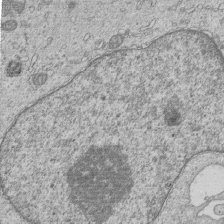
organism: Human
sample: MDA-MB-231 cells